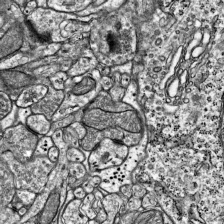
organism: Mouse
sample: Visual Cortex